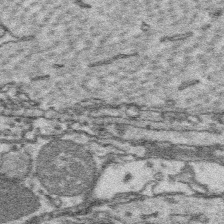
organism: Platynereis dumerilii